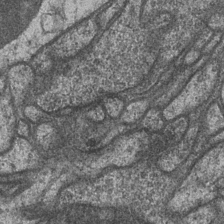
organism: Drosophila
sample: Optic medulla